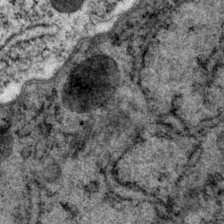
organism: P. pacificus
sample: Pharynx